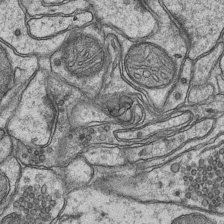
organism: Mouse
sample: CA1 Hippocampus